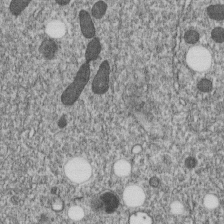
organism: C. elegans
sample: C. elegans embryo early stage